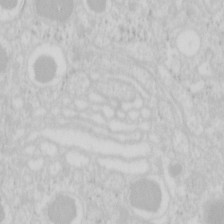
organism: Mouse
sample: Pancreas